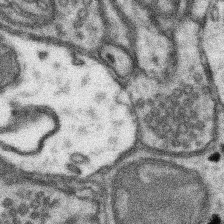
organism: Mouse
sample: Somatosensory cortex neuropil